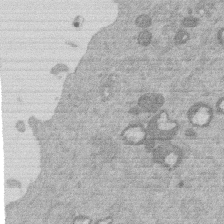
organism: Mouse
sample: Dividing mouse embryo 1 cell stage